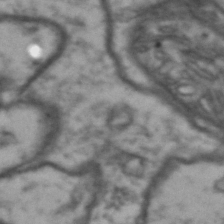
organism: Drosophila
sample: Brain